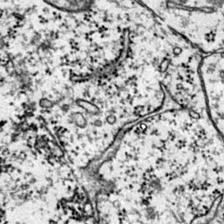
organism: Mouse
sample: Primary visual cortex